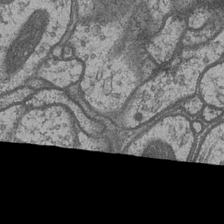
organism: Drosophila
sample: Optic medulla